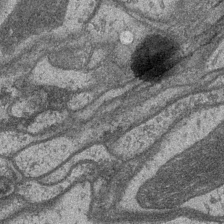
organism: Drosophila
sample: Optic medulla